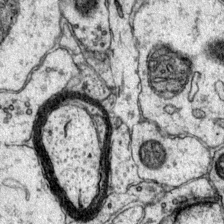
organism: Mouse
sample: Primary visual cortex